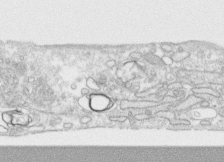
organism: Human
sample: CRL-1474